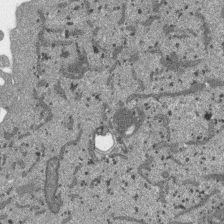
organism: Human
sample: Lung epithelial cells infected with SARS-CoV-2